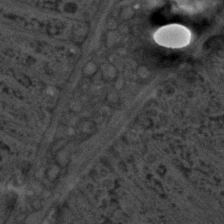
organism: C. elegans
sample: C. elegans embryo